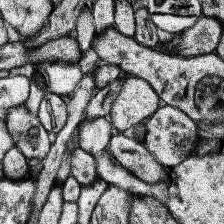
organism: Human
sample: Temporal Lobe